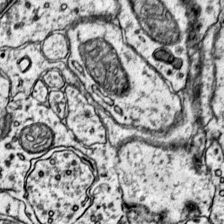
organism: Mouse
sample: Primary visual cortex